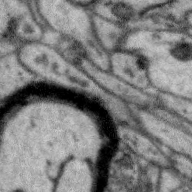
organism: Zebra finch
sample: Brain